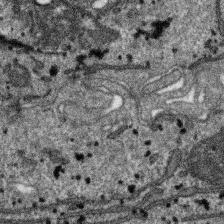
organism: Human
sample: Lung epithelial cells infected with SARS-CoV-2